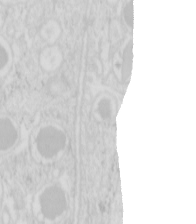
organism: Mouse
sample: Pancreas